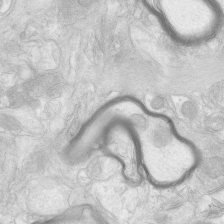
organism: Human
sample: Neocortex